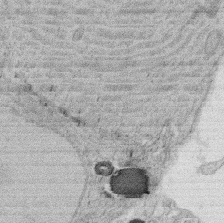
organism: Rat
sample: Salivary granule